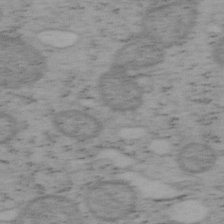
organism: Mouse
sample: OT-I killer T cells with ID8 ovarian cancer cells